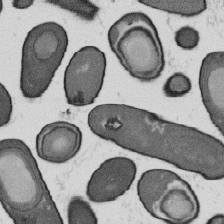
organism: B. subtilis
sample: Bacterial spore